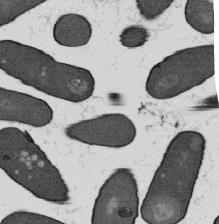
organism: B. subtilis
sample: Bacterial spore